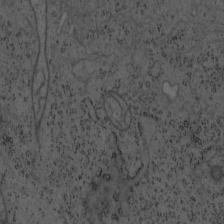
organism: Mouse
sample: OT-I killer T cells with ID8 ovarian cancer cells